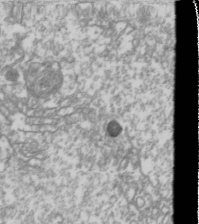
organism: Drosophila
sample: Cell division; meiosis; drosophila spermatocytes